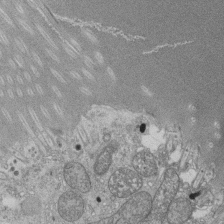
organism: Tetrahymena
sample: Cilia in tetrahymena